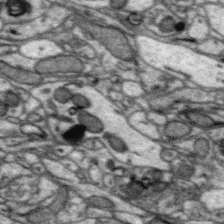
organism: Zebra finch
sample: Brain